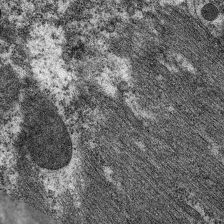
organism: C. elegans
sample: Pharynx